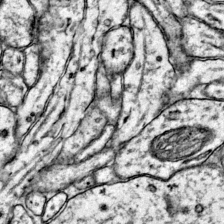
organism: Mouse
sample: Primary visual cortex